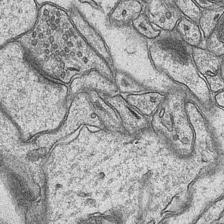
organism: Mouse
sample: CA1 Hippocampus